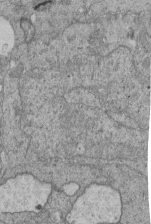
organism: Human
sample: Retinal organoid Rod and Cone cells